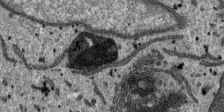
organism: Human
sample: Lung epithelial cells, uninfected (mock) control